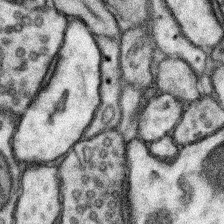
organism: Mouse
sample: Somatosensory cortex neuropil